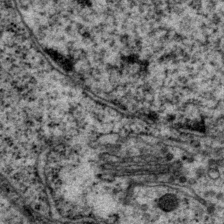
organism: P. pacificus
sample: Pharynx